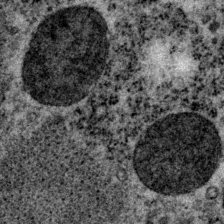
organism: P. pacificus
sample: Pharynx